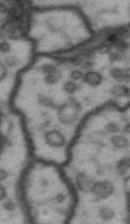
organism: Drosophila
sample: Brain